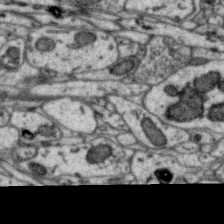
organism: Zebra finch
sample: Brain